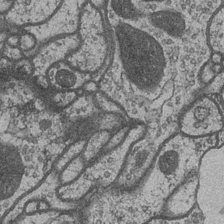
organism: Drosophila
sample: Optic medulla